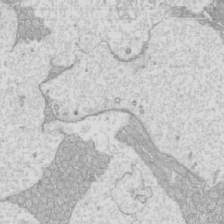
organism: Mouse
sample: Cilia; mouse epididymis